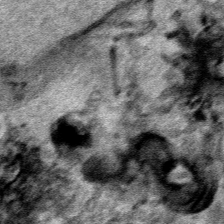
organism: Human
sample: Mitochondria in HCT116 cells